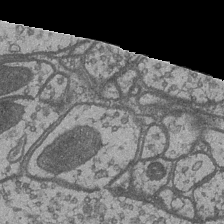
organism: Drosophila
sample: Optic medulla